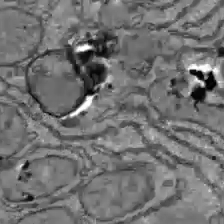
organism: C57BL Mouse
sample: Liver